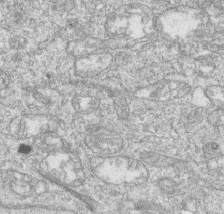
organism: Human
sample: HeLa cell HIV synapse